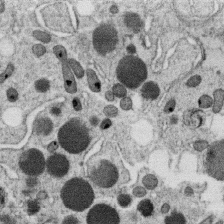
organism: C. elegans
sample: C. elegans oocyte; sperm cells